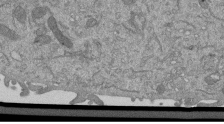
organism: Mouse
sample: ED-1 cell nuclei; centrioles